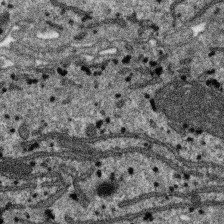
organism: Human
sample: Lung epithelial cells infected with SARS-CoV-2